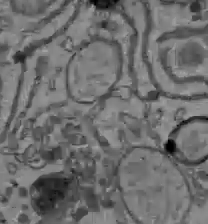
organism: C57BL Mouse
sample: Liver